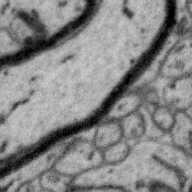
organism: Zebra finch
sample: Brain